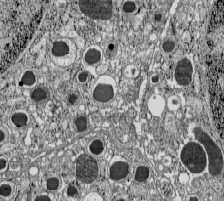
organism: C57BL Mouse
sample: Pancreatic islet